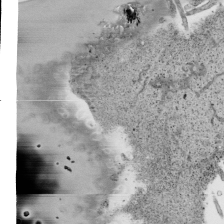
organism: Human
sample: Mitochondria in HCT116 cells